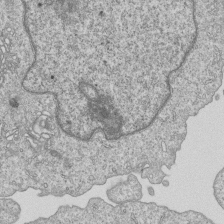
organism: Human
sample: MDA-MB-231 cells